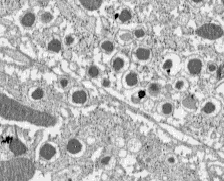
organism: C57BL Mouse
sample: Pancreatic islet